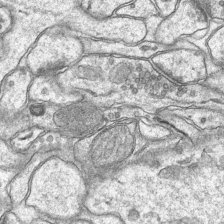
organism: Mouse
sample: CA1 Hippocampus